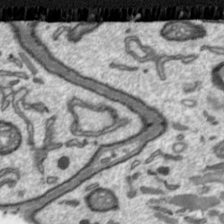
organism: Toxoplasma gondii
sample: Parasites in a vacuole inside a host cell